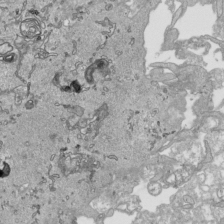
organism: Human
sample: Mitochondria in HCT116 cells